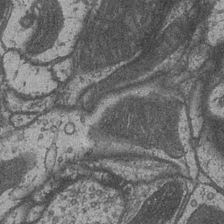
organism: Drosophila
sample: Optic medulla